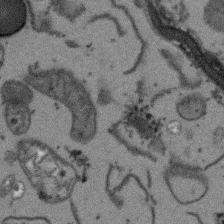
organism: Arabidopsis thaliana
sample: Root tip